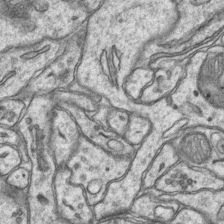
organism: Mouse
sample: CA1 Hippocampus